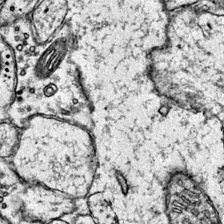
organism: Mouse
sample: Primary visual cortex